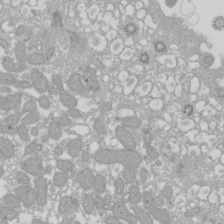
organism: Xenopus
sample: Cilia; centrioles in frog embryo cells